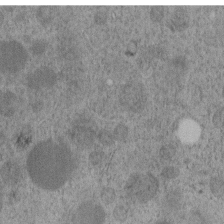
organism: C. elegans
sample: C. elegans embryo early stage